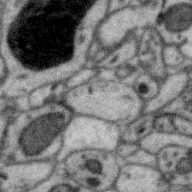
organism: Zebra finch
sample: Brain